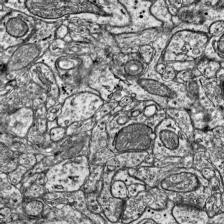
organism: Mouse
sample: Visual Cortex